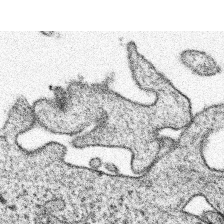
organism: Human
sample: HeLa cells